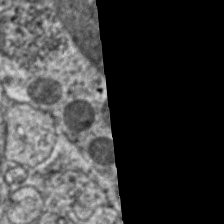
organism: C. elegans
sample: Pharynx